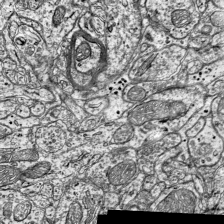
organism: Mouse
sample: Visual Cortex